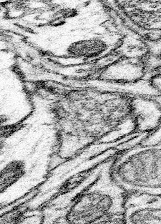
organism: Mouse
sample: Somatosensory cortex neuropil